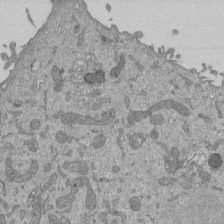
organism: Mouse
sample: ED-1 cell nuclei; centrioles